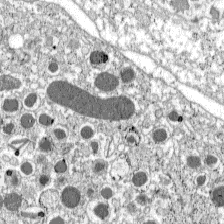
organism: C57BL Mouse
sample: Pancreatic islet